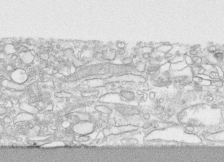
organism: Human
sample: CRL-1474